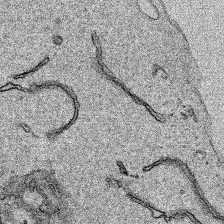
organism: Human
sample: Mitochondria in HCT116 cells